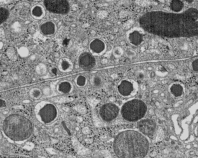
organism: C57BL Mouse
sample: Pancreatic islet